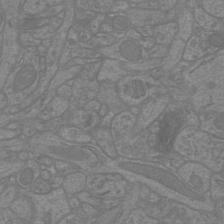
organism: Mouse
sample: Cortical neurons